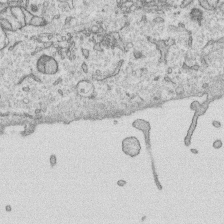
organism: Human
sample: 1205lu cells